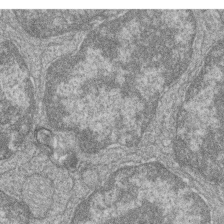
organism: Zebrafish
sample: Cilia; retinal pigment epithelium